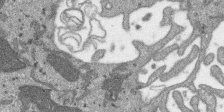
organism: Human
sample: Lung epithelial cells infected with SARS-CoV-2